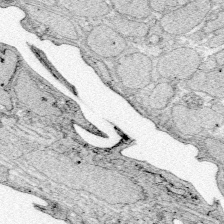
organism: Zebrafish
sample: Whole-Brain